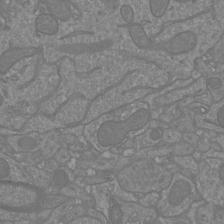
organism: Mouse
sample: Cortical neurons